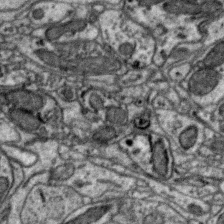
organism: Zebra finch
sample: Brain